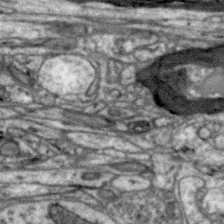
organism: Zebra finch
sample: Brain